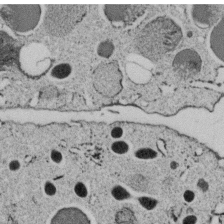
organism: C. elegans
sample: C. elegans embryo early stage